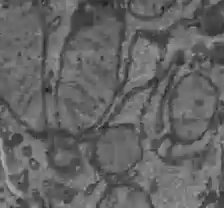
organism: C57BL Mouse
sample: Liver